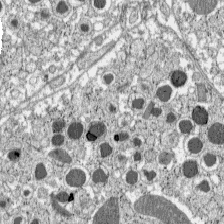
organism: C57BL Mouse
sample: Pancreatic islet